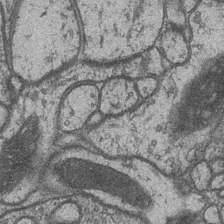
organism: Drosophila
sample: Optic medulla